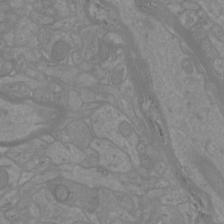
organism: Mouse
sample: Cortical neurons